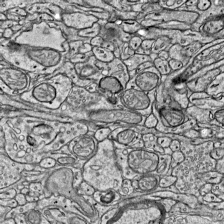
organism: Mouse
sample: Visual Cortex